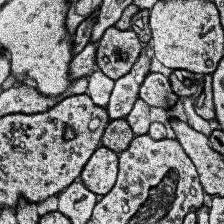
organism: Human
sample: Temporal Lobe